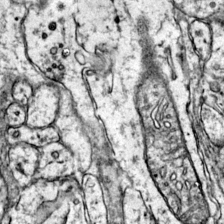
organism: Mouse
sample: Primary visual cortex